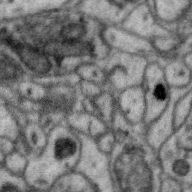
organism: Zebra finch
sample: Brain